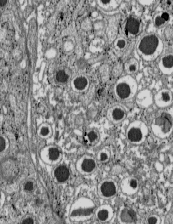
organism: C57BL Mouse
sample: Pancreatic islet